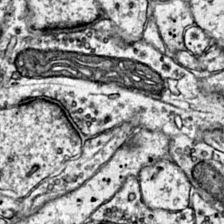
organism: Mouse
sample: Primary visual cortex